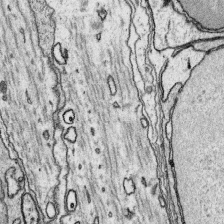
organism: Platynereis dumerilii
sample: Parapodia